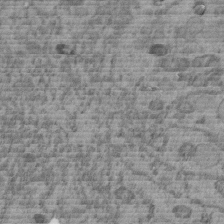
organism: C. elegans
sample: C. elegans embryo early stage